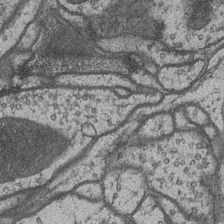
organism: Drosophila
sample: Optic medulla